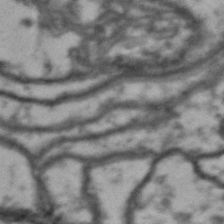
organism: Drosophila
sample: Brain